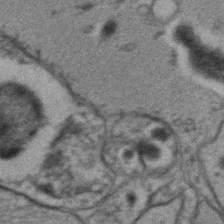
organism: C. elegans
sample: C. elegans embryo